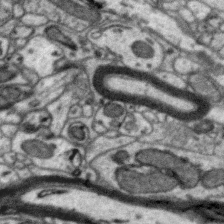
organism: Zebra finch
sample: Brain